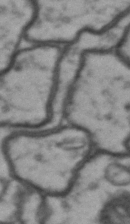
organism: Drosophila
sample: Brain